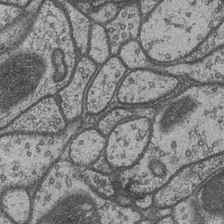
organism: Drosophila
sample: Optic medulla